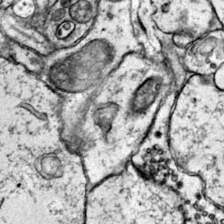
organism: Mouse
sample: Primary visual cortex